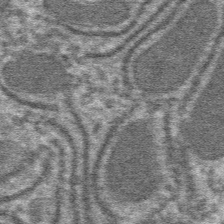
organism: Mouse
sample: Mouse hepatocytes